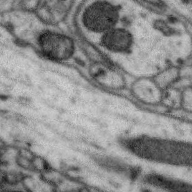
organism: Zebra finch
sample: Brain